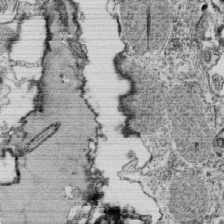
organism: Tetrahymena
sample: Cilia in tetrahymena